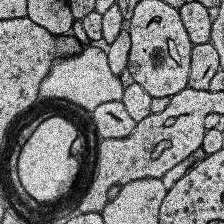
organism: Human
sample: Temporal Lobe